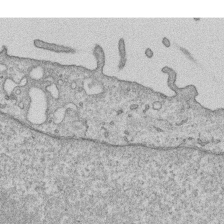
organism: Human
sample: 1205lu cells